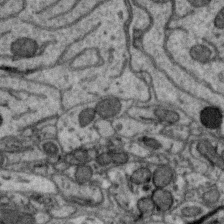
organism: Zebra finch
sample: Brain